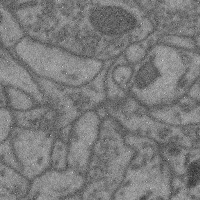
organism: Mouse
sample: Cerebral cortex